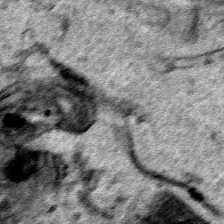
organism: Human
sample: Mitochondria in HCT116 cells